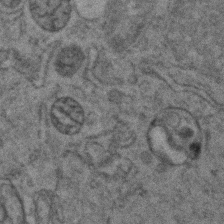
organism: Zebrafish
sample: Zebrafish embryo